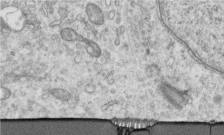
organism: Human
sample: Centriole in RPE cells